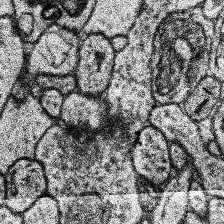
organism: Human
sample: Temporal Lobe